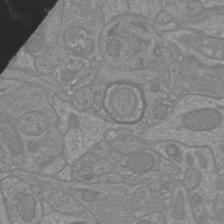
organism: Mouse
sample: Cortical neurons